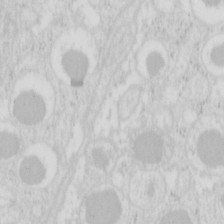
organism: Mouse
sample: Pancreas